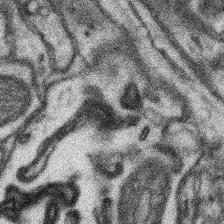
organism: Mouse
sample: Somatosensory cortex neuropil